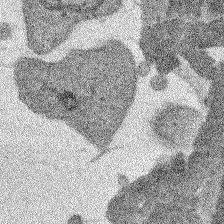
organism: Human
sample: HeLa cells